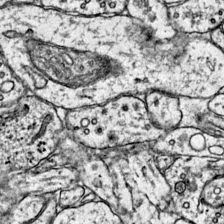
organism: Mouse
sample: Primary visual cortex